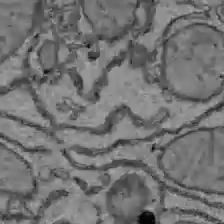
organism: C57BL Mouse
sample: Liver